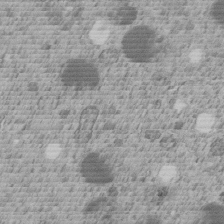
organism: C. elegans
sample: C. elegans embryo early stage